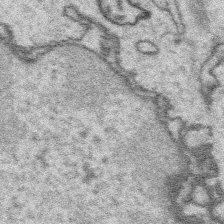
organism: Platynereis dumerilii